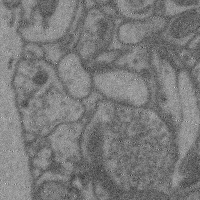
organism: Mouse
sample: Cerebral cortex